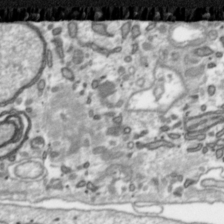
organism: Toxoplasma gondii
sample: Parasites in a vacuole inside a host cell